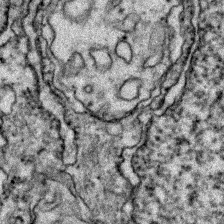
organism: Zebrafish